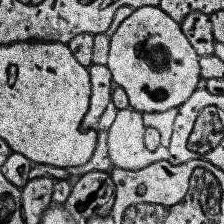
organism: Human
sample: Temporal Lobe